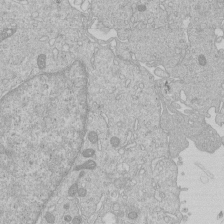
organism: Human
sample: Macrophage cells